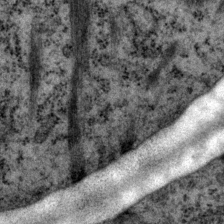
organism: P. pacificus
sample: Pharynx